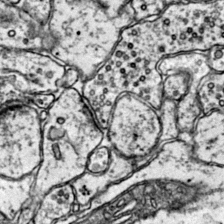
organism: Mouse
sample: Primary visual cortex